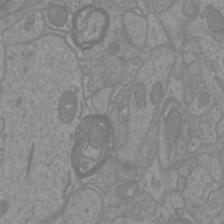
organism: Mouse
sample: Cortical neurons